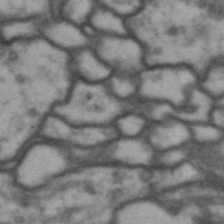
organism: Drosophila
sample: Brain